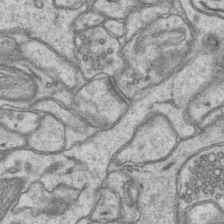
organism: Mouse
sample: CA1 Hippocampus